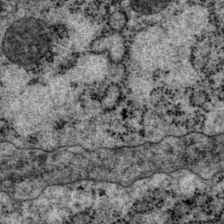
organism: P. pacificus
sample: Pharynx